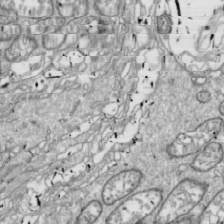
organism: Drosophila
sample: Cell division; meiosis; drosophila spermatocytes